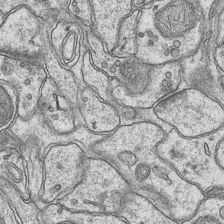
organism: Mouse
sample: CA1 Hippocampus